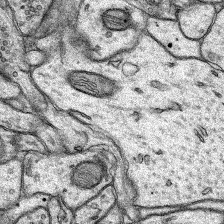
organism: Rat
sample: Hippocampus